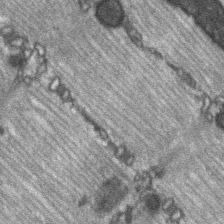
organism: C57BL Mouse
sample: Soleus